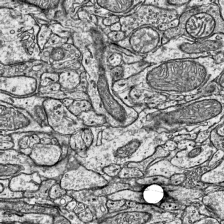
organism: Mouse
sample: Visual Cortex